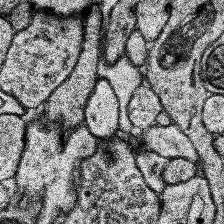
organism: Human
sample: Temporal Lobe